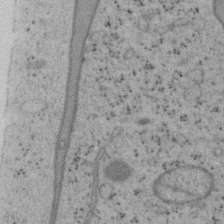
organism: Human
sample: HeLa cells